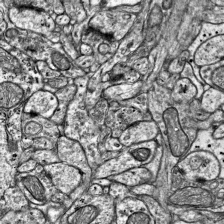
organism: Mouse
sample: Visual Cortex